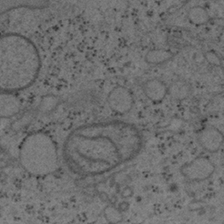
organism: Human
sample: HeLa cells